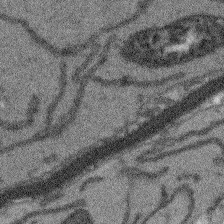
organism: Arabidopsis thaliana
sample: Root tip